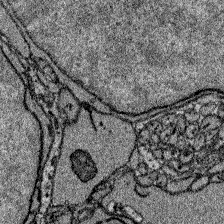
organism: Zebrafish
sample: Larval olfactory bulb